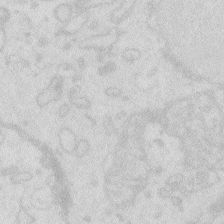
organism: Zebrafish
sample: Macrophage